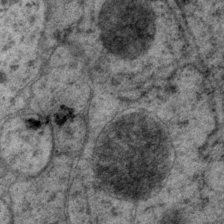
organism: P. pacificus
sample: Pharynx